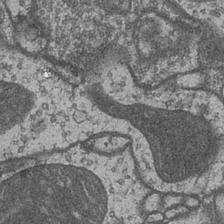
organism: Drosophila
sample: Optic medulla